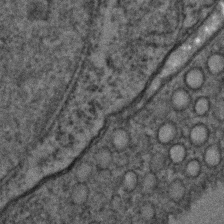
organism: C. elegans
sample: C. elegans embryo